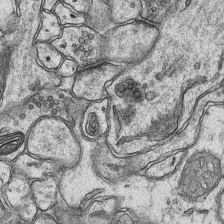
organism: Mouse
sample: CA1 Hippocampus